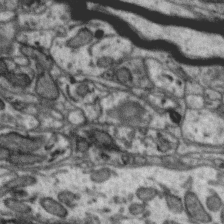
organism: Zebra finch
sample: Brain